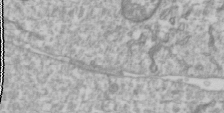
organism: Drosophila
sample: Cell division; meiosis; drosophila spermatocytes